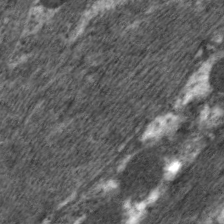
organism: C. elegans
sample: Pharynx